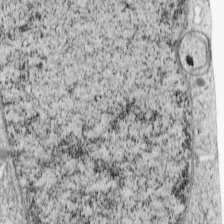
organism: African green monkey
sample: COS-7 cells